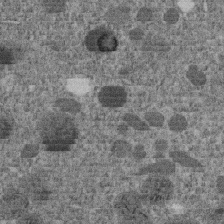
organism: C. elegans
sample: C. elegans embryo early stage